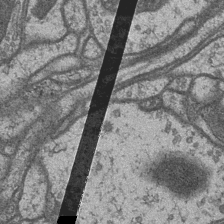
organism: Drosophila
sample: Optic medulla